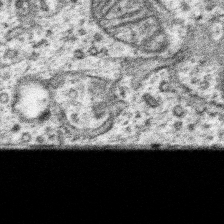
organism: Human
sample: HeLa cells